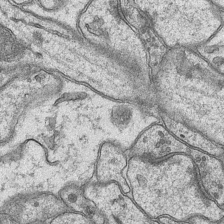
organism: Mouse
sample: CA1 Hippocampus